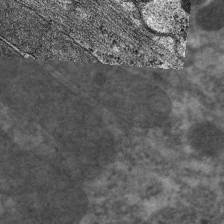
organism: C. elegans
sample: Pharynx